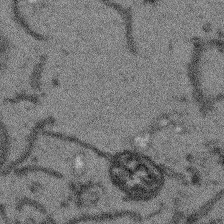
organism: Arabidopsis thaliana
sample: Root tip